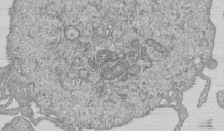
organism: Human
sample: MDA-MB-231 cells